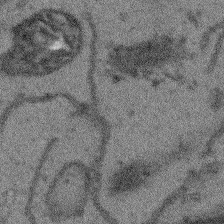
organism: Arabidopsis thaliana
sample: Root tip